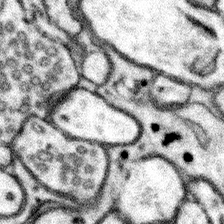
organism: Mouse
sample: Somatosensory cortex neuropil